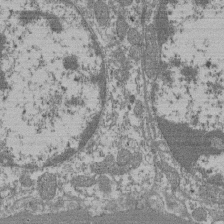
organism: Mouse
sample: Glomerulus